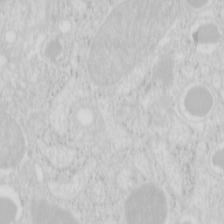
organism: Mouse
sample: Pancreas